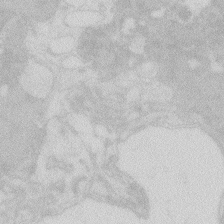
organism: Zebrafish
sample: Macrophage